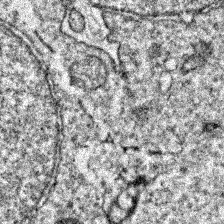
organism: Zebrafish